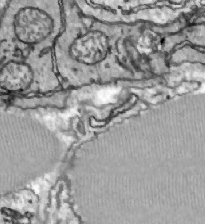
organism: Zebrafish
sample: Actinotrichia fibers